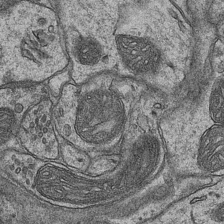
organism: Mouse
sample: CA1 Hippocampus